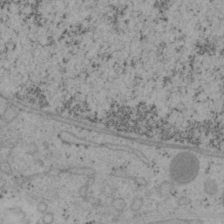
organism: Human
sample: HeLa cells